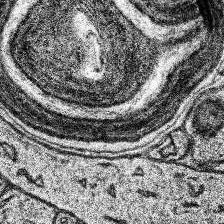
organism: Human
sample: Temporal Lobe